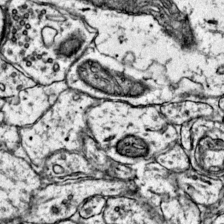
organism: Mouse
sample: Primary visual cortex